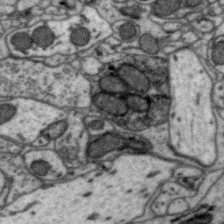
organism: Zebra finch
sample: Brain